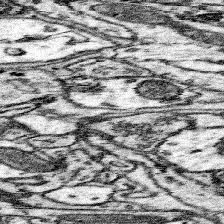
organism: Mouse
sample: Somatosensory cortex neuropil